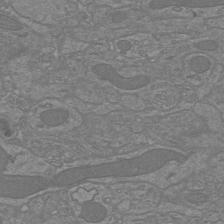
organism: Mouse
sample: Cortical neurons